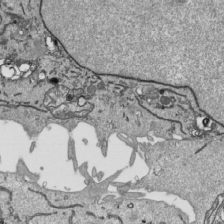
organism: Human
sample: Mitochondria in HCT116 cells